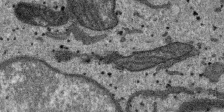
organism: Human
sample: Lung epithelial cells, uninfected (mock) control